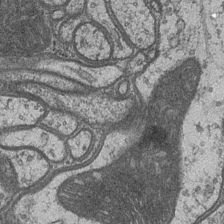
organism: Drosophila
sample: Optic medulla